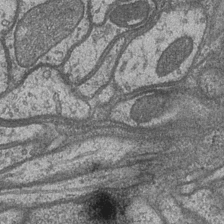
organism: Drosophila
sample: Optic medulla